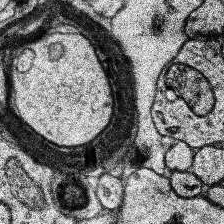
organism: Human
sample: Temporal Lobe